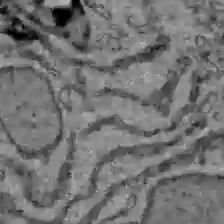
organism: C57BL Mouse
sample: Liver